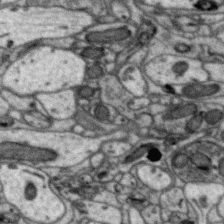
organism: Zebra finch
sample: Brain